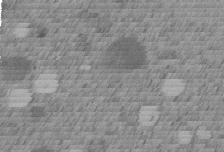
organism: C. elegans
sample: C. elegans embryo early stage